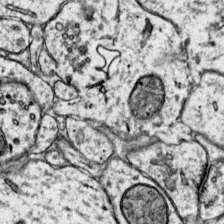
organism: Mouse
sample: Primary visual cortex